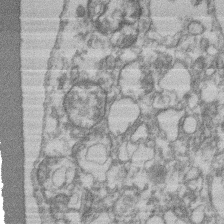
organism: Mouse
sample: T cell stromal cell synapse